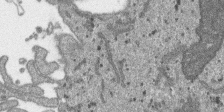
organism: Human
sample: Lung epithelial cells infected with SARS-CoV-2